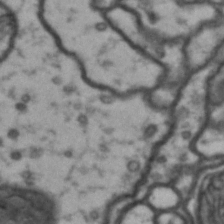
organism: Drosophila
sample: Brain